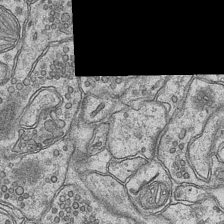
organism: Mouse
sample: CA1 Hippocampus